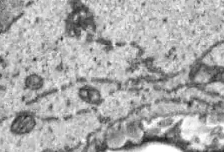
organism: Human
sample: HeLa cells